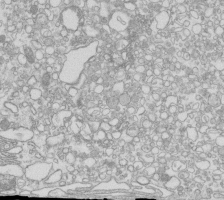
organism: Mouse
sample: Macrophages